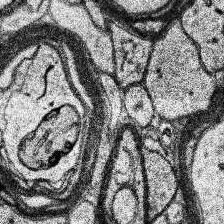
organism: Human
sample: Temporal Lobe